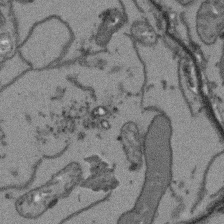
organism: Arabidopsis thaliana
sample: Root tip